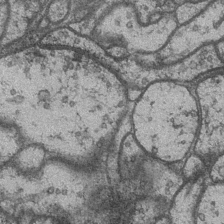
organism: Drosophila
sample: Optic medulla